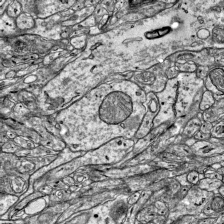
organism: Mouse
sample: Visual Cortex